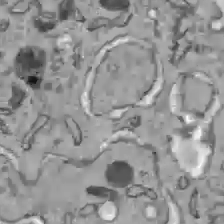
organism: C57BL Mouse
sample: Liver